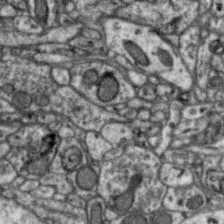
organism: Zebra finch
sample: Brain